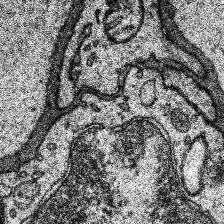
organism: Human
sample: Temporal Lobe